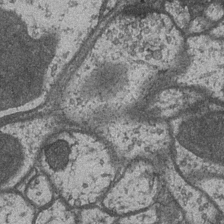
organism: Drosophila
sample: Optic medulla